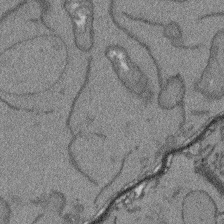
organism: Arabidopsis thaliana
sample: Root tip